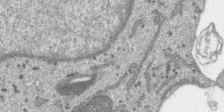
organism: Human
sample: Lung epithelial cells infected with SARS-CoV-2